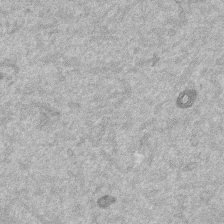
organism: Mouse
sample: Dividing mouse embryo 1 cell stage